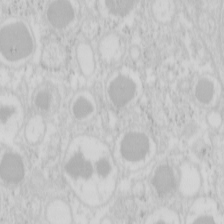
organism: Mouse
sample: Pancreas